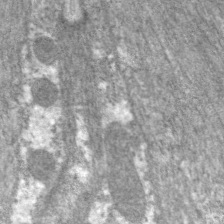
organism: C. elegans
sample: Pharynx